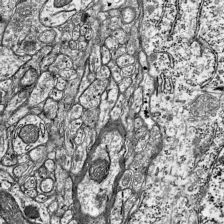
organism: Mouse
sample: Visual Cortex